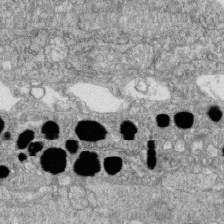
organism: Zebrafish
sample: Cilia; retinal pigment epithelium